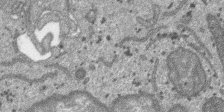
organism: Human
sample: Lung epithelial cells infected with SARS-CoV-2